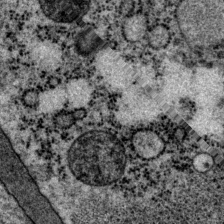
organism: P. pacificus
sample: Pharynx